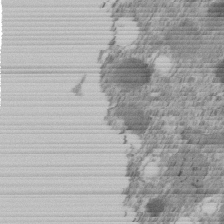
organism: C. elegans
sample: C. elegans embryo early stage